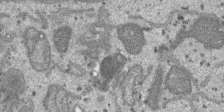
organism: Human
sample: Lung epithelial cells infected with SARS-CoV-2